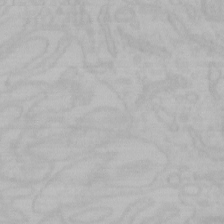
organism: Mouse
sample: Choroid plexus